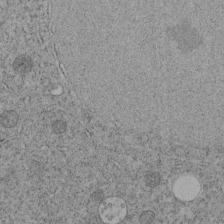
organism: C. elegans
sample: C. elegans embryo early stage